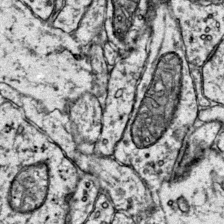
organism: Mouse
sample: Primary visual cortex